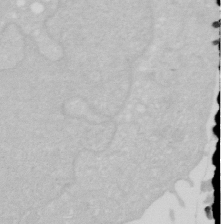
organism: Human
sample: HIV infected U937 cells